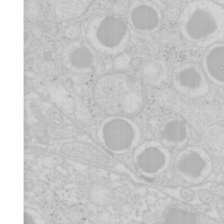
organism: Mouse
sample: Pancreas